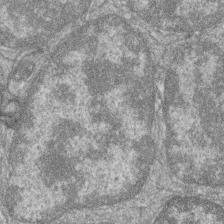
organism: Zebrafish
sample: Cilia; retinal pigment epithelium